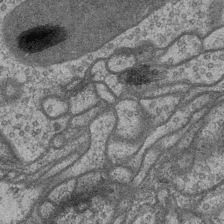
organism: Drosophila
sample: Optic medulla